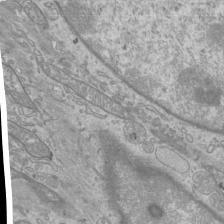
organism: Mouse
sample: Cilia; mouse epididymis